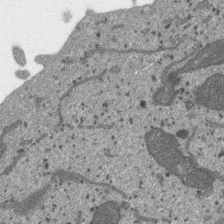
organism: Human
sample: Lung epithelial cells infected with SARS-CoV-2